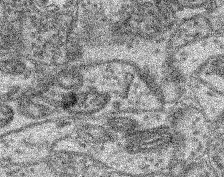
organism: Mouse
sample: Retina